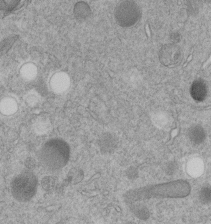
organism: C. elegans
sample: C. elegans embryo early stage